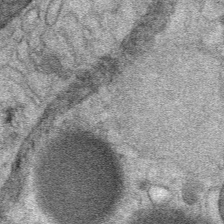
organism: Mouse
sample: Mouse Salivary gland